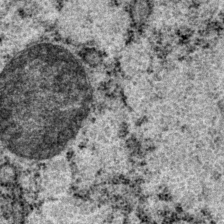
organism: P. pacificus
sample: Pharynx